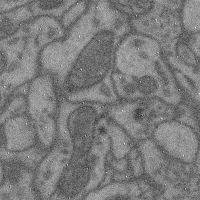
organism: Mouse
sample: Cerebral cortex